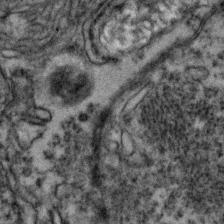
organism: Zebrafish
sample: Zebrafish embryo